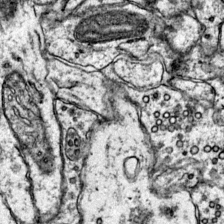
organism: Mouse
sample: Primary visual cortex